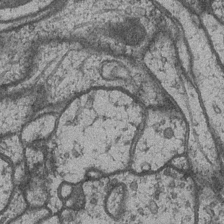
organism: Drosophila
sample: Optic medulla